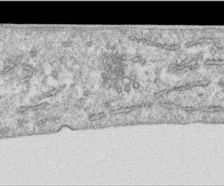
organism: Human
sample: Centriole in RPE cells